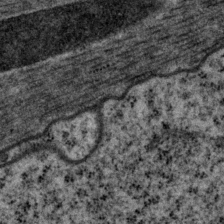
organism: P. pacificus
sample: Pharynx